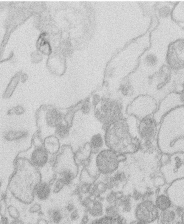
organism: Human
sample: Macrophage cells